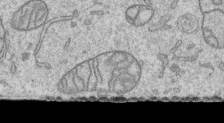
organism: Human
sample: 1205lu cells